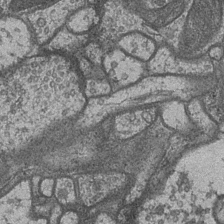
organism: Drosophila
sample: Optic medulla